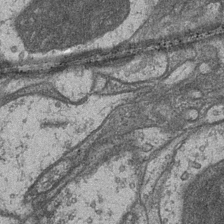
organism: Drosophila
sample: Optic medulla